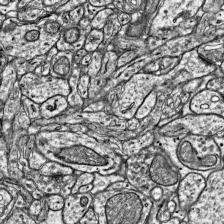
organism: Mouse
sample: Visual Cortex